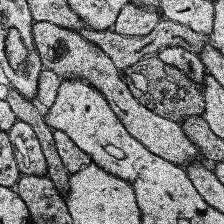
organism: Human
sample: Temporal Lobe